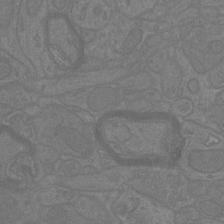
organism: Mouse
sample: Cortical neurons